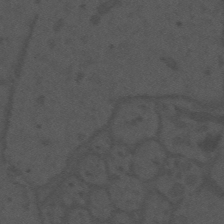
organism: Mouse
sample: Suprachiasmatic nucleus